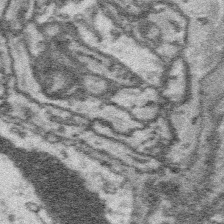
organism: Platynereis dumerilii